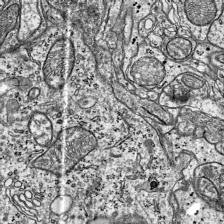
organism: Mouse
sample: Visual Cortex